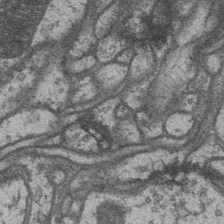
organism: Drosophila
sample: Optic medulla